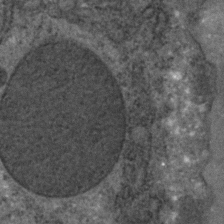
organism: C. elegans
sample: C. elegans embryo